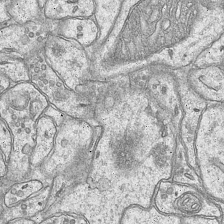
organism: Mouse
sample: CA1 Hippocampus